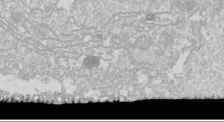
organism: Drosophila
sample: Cell division; meiosis; drosophila spermatocytes